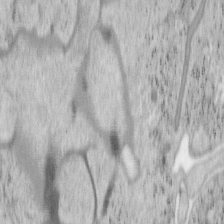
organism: Human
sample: HeLa cells